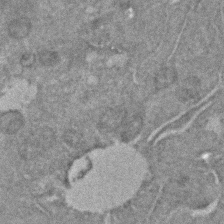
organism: C. elegans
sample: C. elegans embryo